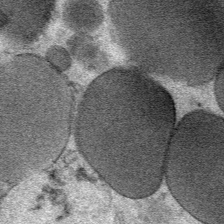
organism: Mouse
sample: Mouse Salivary gland